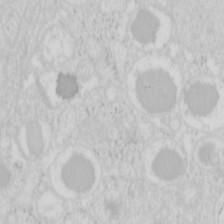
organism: Mouse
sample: Pancreas